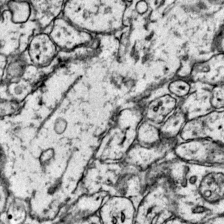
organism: Mouse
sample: Primary visual cortex